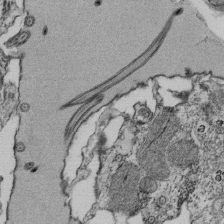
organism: Tetrahymena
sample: Cilia in tetrahymena